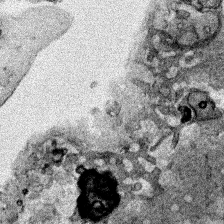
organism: Human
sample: Mitochondria in HCT116 cells